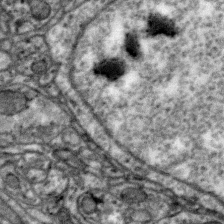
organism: Zebra finch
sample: Brain